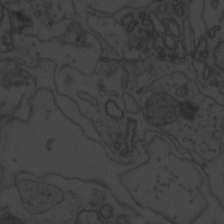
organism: Zebrafish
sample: Macrophage infected with Toxoplasma gondii